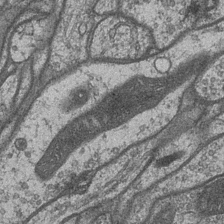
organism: Drosophila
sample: Optic medulla